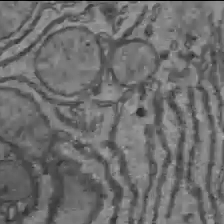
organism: C57BL Mouse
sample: Liver